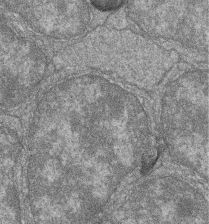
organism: Zebrafish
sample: Cilia; retinal pigment epithelium